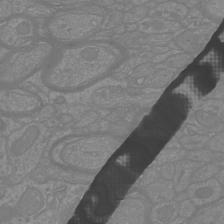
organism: Mouse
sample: Cortical neurons